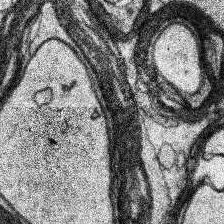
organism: Human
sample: Temporal Lobe